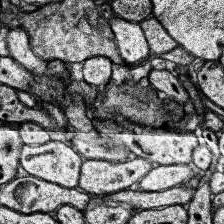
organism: Human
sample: Temporal Lobe